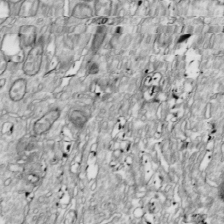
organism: Drosophila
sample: Cell division; meiosis; drosophila spermatocytes